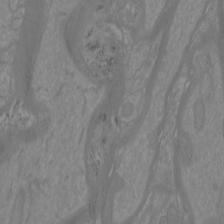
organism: Mouse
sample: Cortical neurons